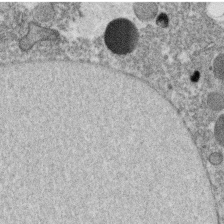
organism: C. elegans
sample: C. elegans oocyte; sperm cells